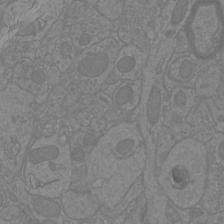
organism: Mouse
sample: Cortical neurons